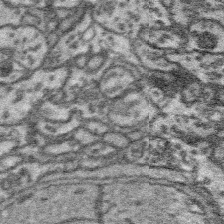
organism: Platynereis dumerilii